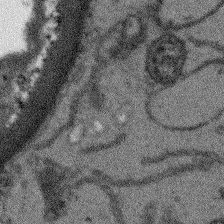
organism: Arabidopsis thaliana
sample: Root tip